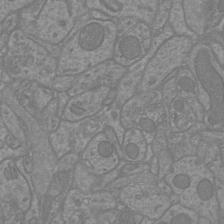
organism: Mouse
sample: Cortical neurons